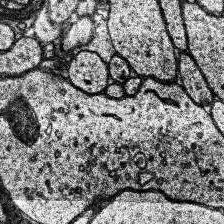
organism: Human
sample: Temporal Lobe